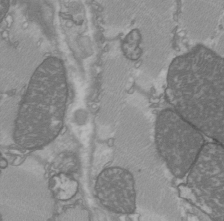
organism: C57BL Mouse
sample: Heart